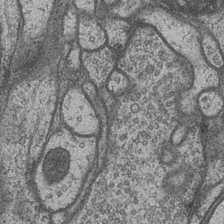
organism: Drosophila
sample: Optic medulla